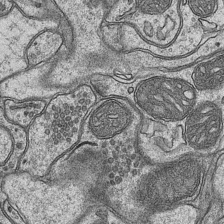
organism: Mouse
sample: CA1 Hippocampus